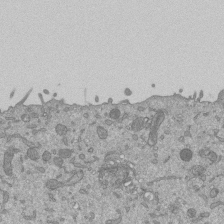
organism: Mouse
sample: ED-1 cell nuclei; centrioles